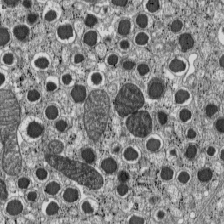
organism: C57BL Mouse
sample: Pancreatic islet